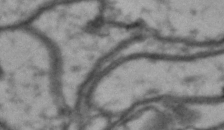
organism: Drosophila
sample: Brain